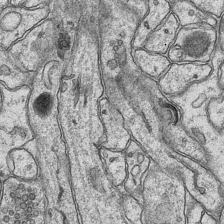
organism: Mouse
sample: CA1 Hippocampus